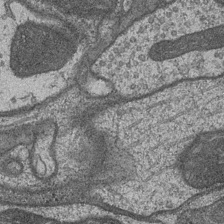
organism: Drosophila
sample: Optic medulla